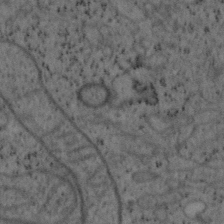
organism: Human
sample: HeLa cells